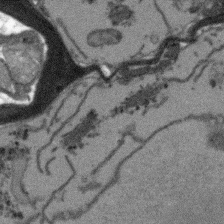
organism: Arabidopsis thaliana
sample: Root tip